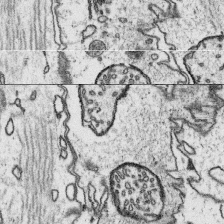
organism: Platynereis dumerilii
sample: Parapodia